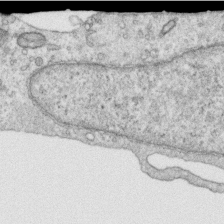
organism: Human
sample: Centriole in RPE cells